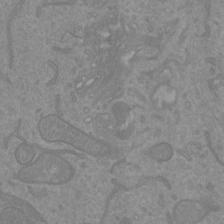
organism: Mouse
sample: Cortical neurons